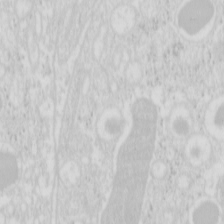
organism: Mouse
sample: Pancreas